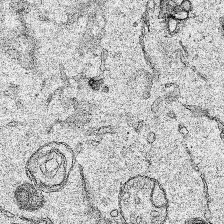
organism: Human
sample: Mitochondria in HCT116 cells